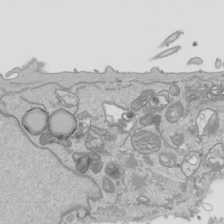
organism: Human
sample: Mitochondria in HCT116 cells